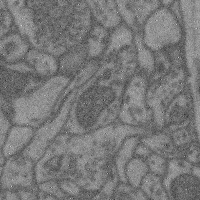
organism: Mouse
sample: Cerebral cortex